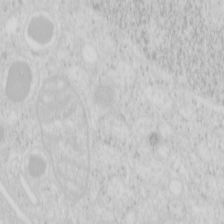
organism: Mouse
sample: Pancreas